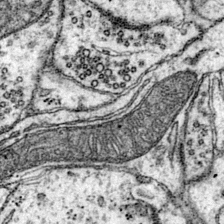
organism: Mouse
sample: Primary visual cortex